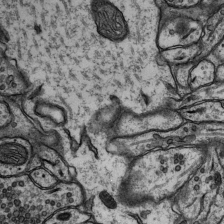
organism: Rat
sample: Hippocampus